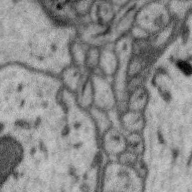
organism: Zebra finch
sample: Brain